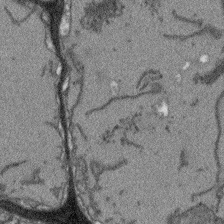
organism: Arabidopsis thaliana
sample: Root tip